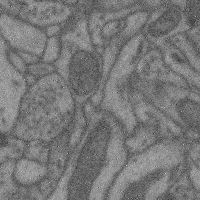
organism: Mouse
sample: Cerebral cortex